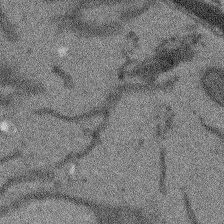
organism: Arabidopsis thaliana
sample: Root tip